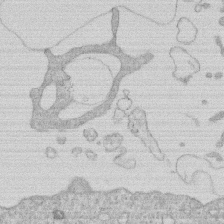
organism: Human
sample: Macrophage cells